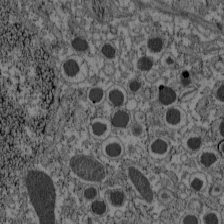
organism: C57BL Mouse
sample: Pancreatic islet